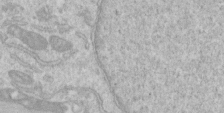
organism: Human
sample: Centriole in RPE cells